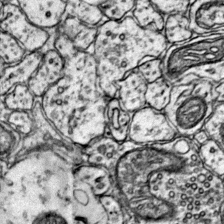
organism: Mouse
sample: Primary visual cortex